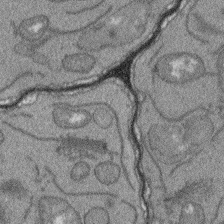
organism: Arabidopsis thaliana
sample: Root tip